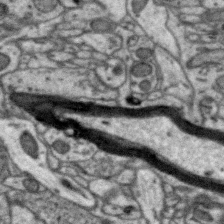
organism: Zebra finch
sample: Brain